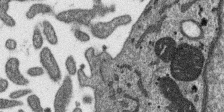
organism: Human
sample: Lung epithelial cells infected with SARS-CoV-2